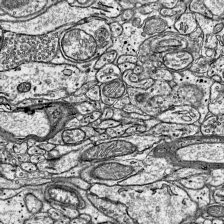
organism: Mouse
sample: Visual Cortex